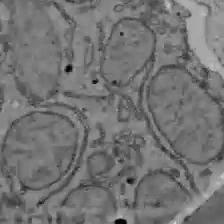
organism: C57BL Mouse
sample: Liver